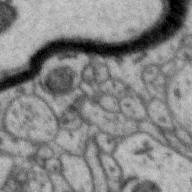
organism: Zebra finch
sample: Brain